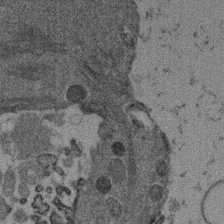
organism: Mouse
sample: Dividing mouse embryo 1 cell stage